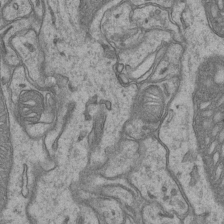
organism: Mouse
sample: CA1 Hippocampus